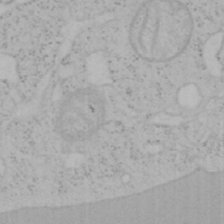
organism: Mouse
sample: OT-I killer T cells with ID8 ovarian cancer cells